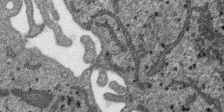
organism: Human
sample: Lung epithelial cells infected with SARS-CoV-2